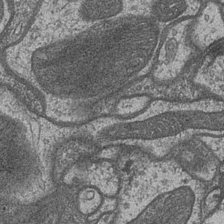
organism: Drosophila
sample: Optic medulla